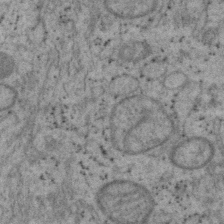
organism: Human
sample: HeLa cells